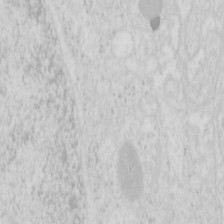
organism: Mouse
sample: Pancreas